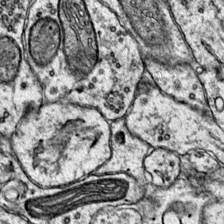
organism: Mouse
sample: Primary visual cortex